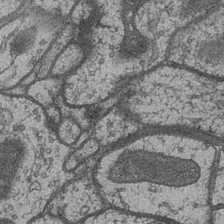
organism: Drosophila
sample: Optic medulla